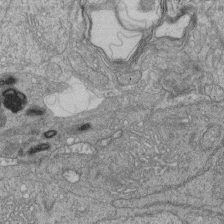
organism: Human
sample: Retinal organoid Rod and Cone cells